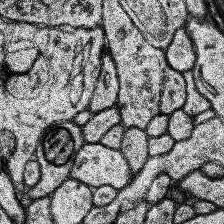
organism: Human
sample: Temporal Lobe